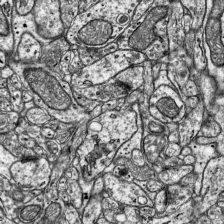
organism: Mouse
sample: Visual Cortex